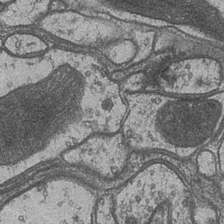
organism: Drosophila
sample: Optic medulla